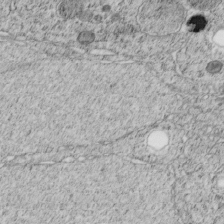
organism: C. elegans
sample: C. elegans embryo early stage